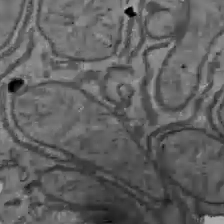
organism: C57BL Mouse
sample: Liver